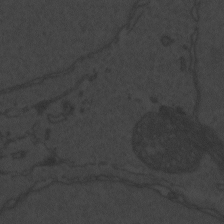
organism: Zebrafish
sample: Macrophage infected with Toxoplasma gondii